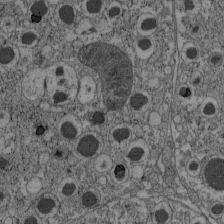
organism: C57BL Mouse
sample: Pancreatic islet